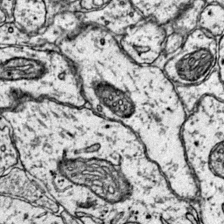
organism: Mouse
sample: Primary visual cortex